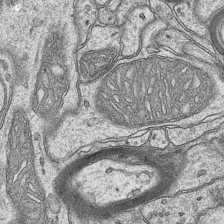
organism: Mouse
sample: CA1 Hippocampus